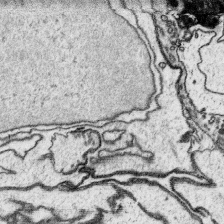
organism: Platynereis dumerilii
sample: Parapodia